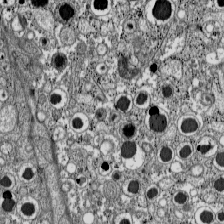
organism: C57BL Mouse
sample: Pancreatic islet